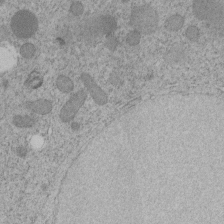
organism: C. elegans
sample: C. elegans embryo early stage